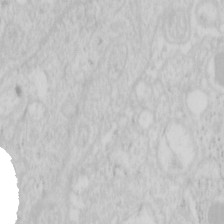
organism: Mouse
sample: Pancreas